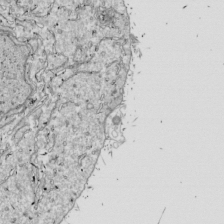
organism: Drosophila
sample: Cell division; meiosis; drosophila spermatocytes